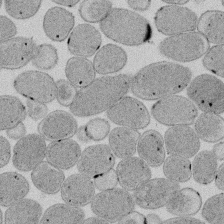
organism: E. coli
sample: Bacterial nucleoid